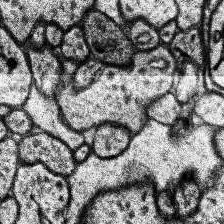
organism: Human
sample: Temporal Lobe